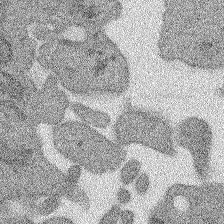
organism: Human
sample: HeLa cells